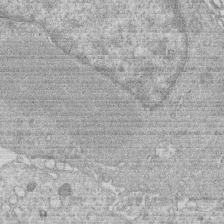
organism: Human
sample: Macrophage cells